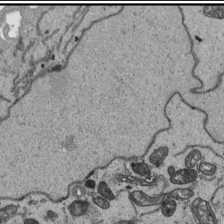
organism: Human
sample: Mitochondria in HCT116 cells